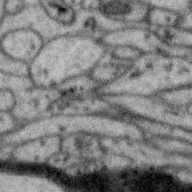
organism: Zebra finch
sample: Brain